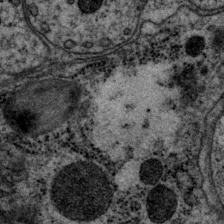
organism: P. pacificus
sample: Pharynx